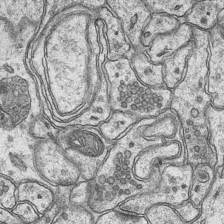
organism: Mouse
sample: CA1 Hippocampus